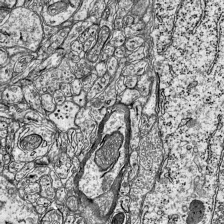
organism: Mouse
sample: Visual Cortex